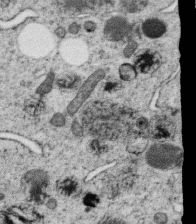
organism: C. elegans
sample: C. elegans oocyte; sperm cells